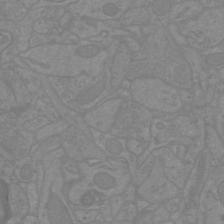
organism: Mouse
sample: Cortical neurons